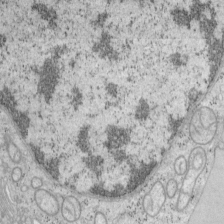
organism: Mouse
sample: OT-I killer T cells with ID8 ovarian cancer cells